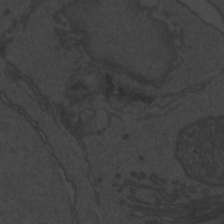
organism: Zebrafish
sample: Macrophage infected with Toxoplasma gondii